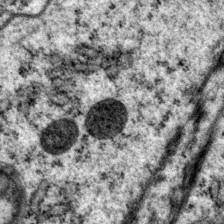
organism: P. pacificus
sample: Pharynx